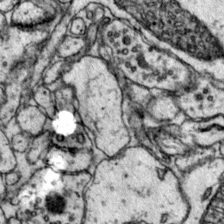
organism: Mouse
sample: Primary visual cortex